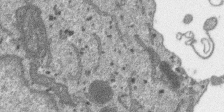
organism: Human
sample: Lung epithelial cells infected with SARS-CoV-2